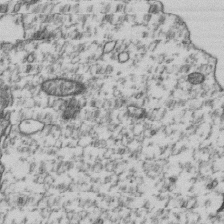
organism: Human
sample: Activated Jurkat CD4+ T cells